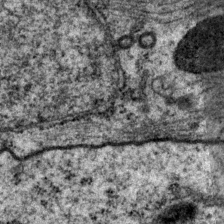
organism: P. pacificus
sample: Pharynx